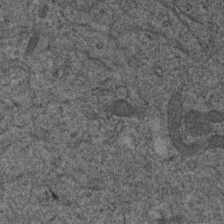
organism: Human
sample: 1205lu cells